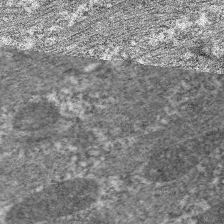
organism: C. elegans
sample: Pharynx